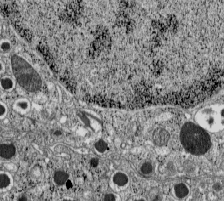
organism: C57BL Mouse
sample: Pancreatic islet